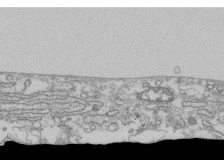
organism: Human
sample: Fibroblast cells